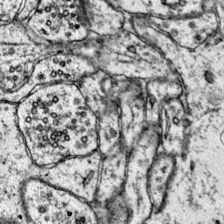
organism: Mouse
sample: Primary visual cortex